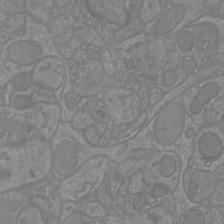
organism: Mouse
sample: Cortical neurons